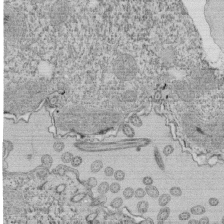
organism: Tetrahymena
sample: Cilia in tetrahymena